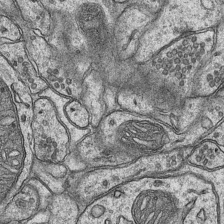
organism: Mouse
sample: CA1 Hippocampus